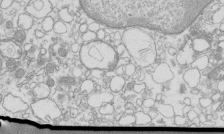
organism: Mouse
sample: Macrophages